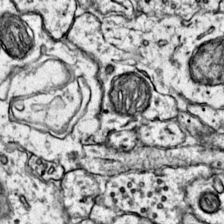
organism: Mouse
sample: Primary visual cortex